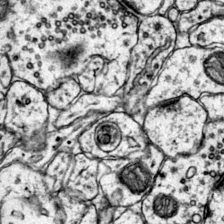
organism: Mouse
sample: Primary visual cortex